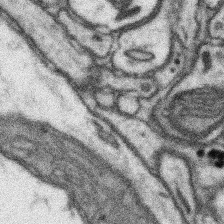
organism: Mouse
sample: Somatosensory cortex neuropil